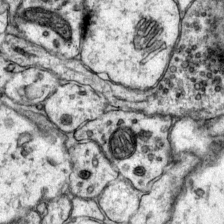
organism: Mouse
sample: Primary visual cortex